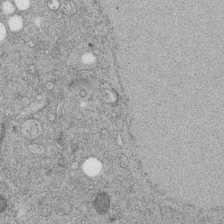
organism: C. elegans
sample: C. elegans embryo early stage